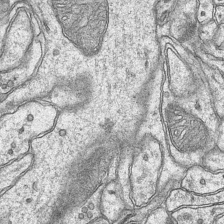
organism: Mouse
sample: CA1 Hippocampus